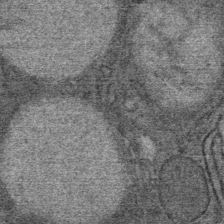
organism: Mouse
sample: Mouse Salivary gland